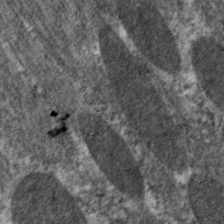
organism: C. elegans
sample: Pharynx